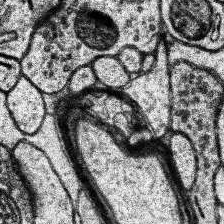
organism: Human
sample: Temporal Lobe